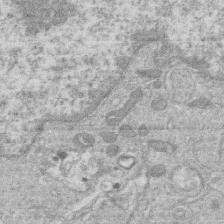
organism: Human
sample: Macrophage cells